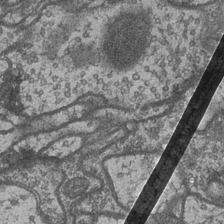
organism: Drosophila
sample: Optic medulla